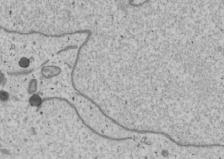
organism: Human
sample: Mitochondria in U2OS cells